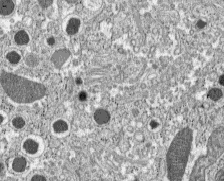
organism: C57BL Mouse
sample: Pancreatic islet